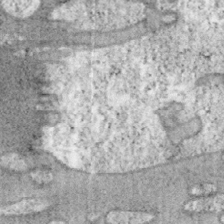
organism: Mouse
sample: OT-I killer T cells with ID8 ovarian cancer cells